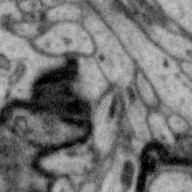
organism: Zebra finch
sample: Brain